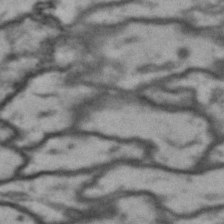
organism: Drosophila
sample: Brain